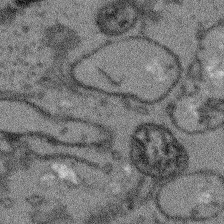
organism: Arabidopsis thaliana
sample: Root tip